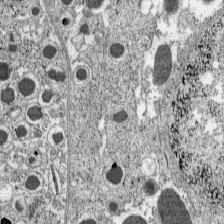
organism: C57BL Mouse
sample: Pancreatic islet